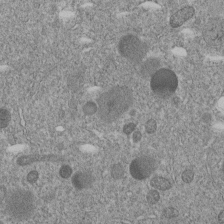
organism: C. elegans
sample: C. elegans embryo early stage